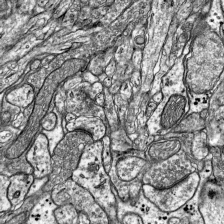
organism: Mouse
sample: Visual Cortex